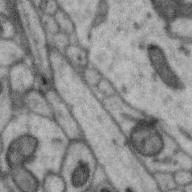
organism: Zebra finch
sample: Brain